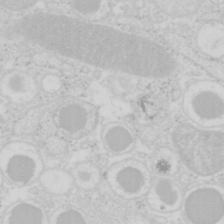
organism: Mouse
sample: Pancreas